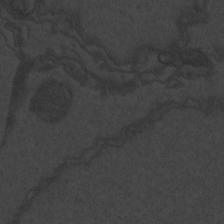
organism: Zebrafish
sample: Macrophage infected with Toxoplasma gondii